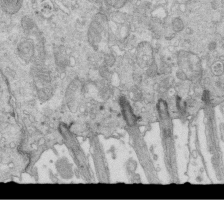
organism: Mouse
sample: Multiciliated cells